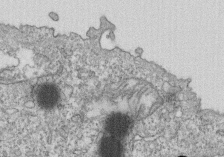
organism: Human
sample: HeLa cell HIV synapse